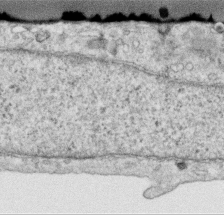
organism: Human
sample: Centriole in RPE cells